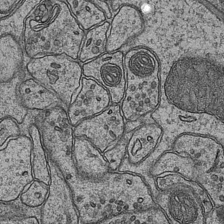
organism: Mouse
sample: CA1 Hippocampus